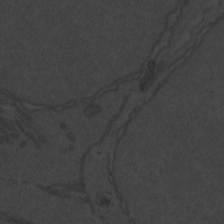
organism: Zebrafish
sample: Macrophage infected with Toxoplasma gondii